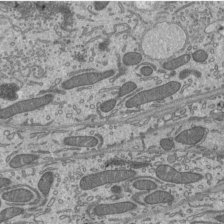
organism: Mouse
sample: Mouse epididymis efferent ductule cilia